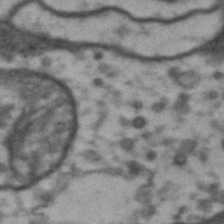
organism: Drosophila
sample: Brain